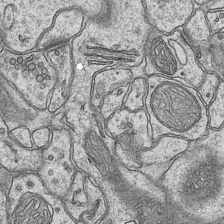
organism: Mouse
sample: CA1 Hippocampus